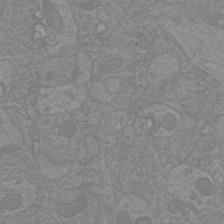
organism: Mouse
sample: Cortical neurons